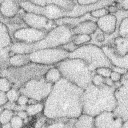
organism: Rabbit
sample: Retina